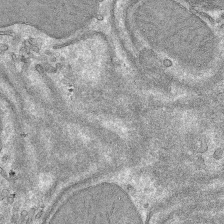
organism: Mouse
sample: Mouse hepatocytes